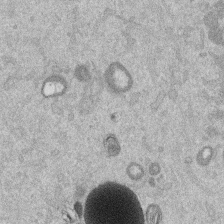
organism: Mouse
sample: Dividing mouse embryo 1 cell stage